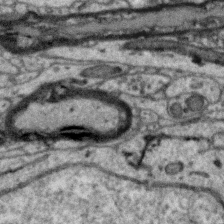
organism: Zebra finch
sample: Brain